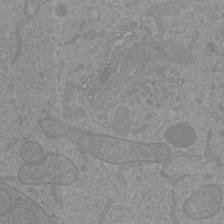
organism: Mouse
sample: Cortical neurons